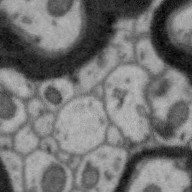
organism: Zebra finch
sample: Brain